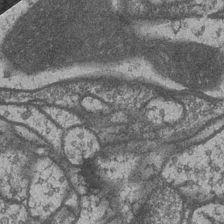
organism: Drosophila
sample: Optic medulla